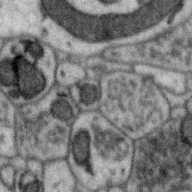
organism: Zebra finch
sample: Brain